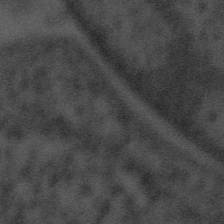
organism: Tuwongella immobilis